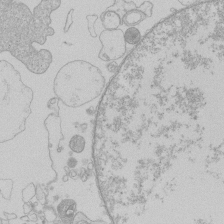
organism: Human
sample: Macrophage cells